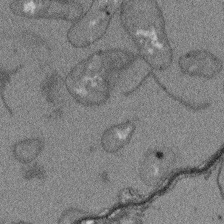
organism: Arabidopsis thaliana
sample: Root tip